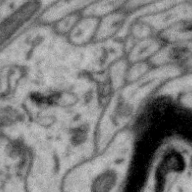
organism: Zebra finch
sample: Brain